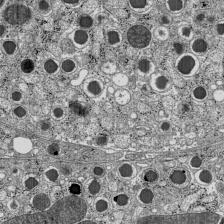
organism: C57BL Mouse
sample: Pancreatic islet